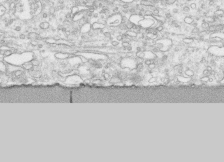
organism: Human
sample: CRL-1474